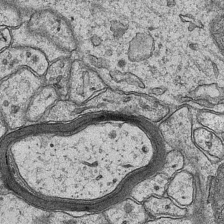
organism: Mouse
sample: CA1 Hippocampus